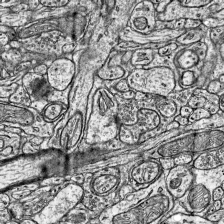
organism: Mouse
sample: Visual Cortex